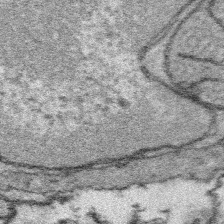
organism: Platynereis dumerilii